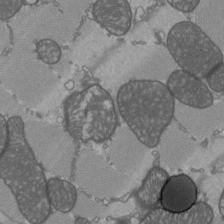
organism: C57BL Mouse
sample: Heart